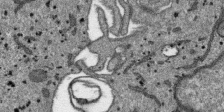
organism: Human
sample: Lung epithelial cells, uninfected (mock) control